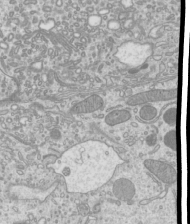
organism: Mouse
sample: Cilia; mouse epididymis